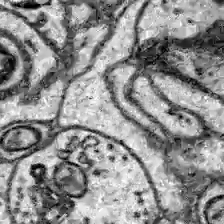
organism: Zebrafish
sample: Brain